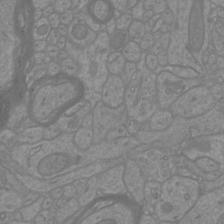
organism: Mouse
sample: Cortical neurons